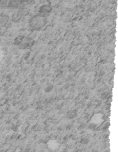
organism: C. elegans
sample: C. elegans embryo early stage